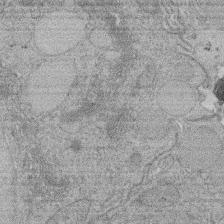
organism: Rat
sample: Salivary granule